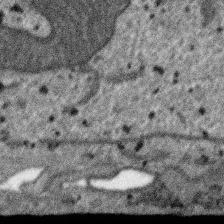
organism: Human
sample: Lung epithelial cells infected with SARS-CoV-2